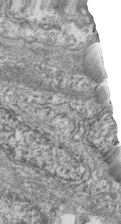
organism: Zebrafish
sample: Cilia; retinal pigment epithelium